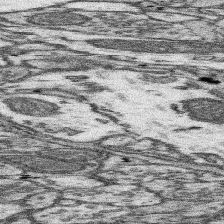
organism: Mouse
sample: Somatosensory cortex neuropil